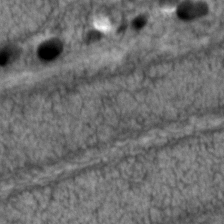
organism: Zebrafish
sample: Zebrafish embryo